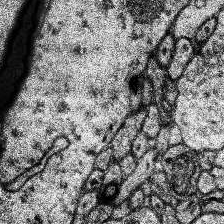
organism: Human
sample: Temporal Lobe